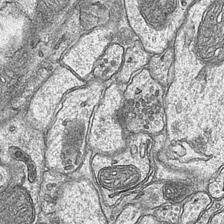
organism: Mouse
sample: CA1 Hippocampus